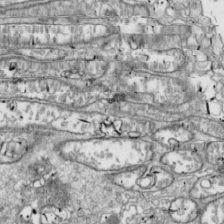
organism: Drosophila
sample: Cell division; meiosis; drosophila spermatocytes